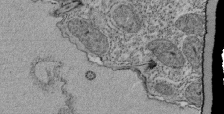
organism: Tetrahymena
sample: Cilia in tetrahymena